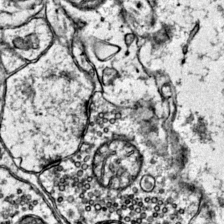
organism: Mouse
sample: Primary visual cortex